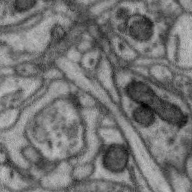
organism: Zebra finch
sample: Brain